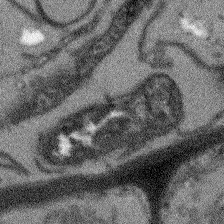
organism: Arabidopsis thaliana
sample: Root tip